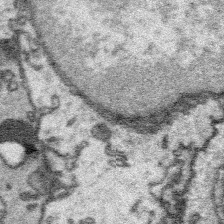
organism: Platynereis dumerilii